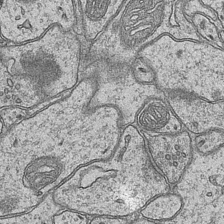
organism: Mouse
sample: CA1 Hippocampus